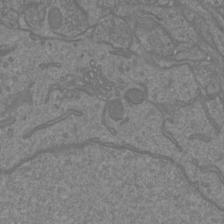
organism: Mouse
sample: Cortical neurons